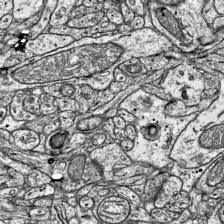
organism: Mouse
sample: Visual Cortex